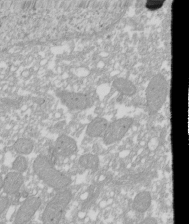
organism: Xenopus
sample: Cilia; centrioles in frog embryo cells